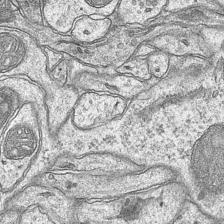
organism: Mouse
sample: CA1 Hippocampus